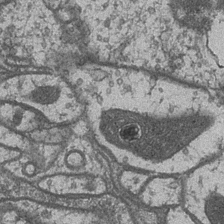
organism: Drosophila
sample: Optic medulla